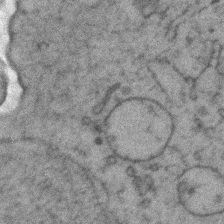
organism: Zebrafish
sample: Zebrafish embryo